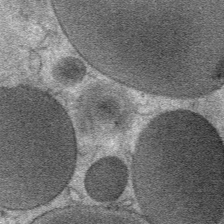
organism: Mouse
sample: Mouse Salivary gland